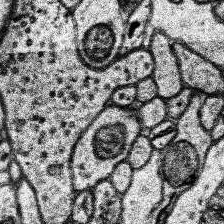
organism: Human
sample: Temporal Lobe